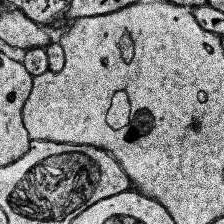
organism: Human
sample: Temporal Lobe